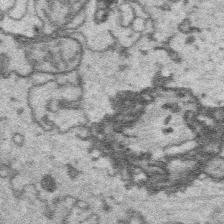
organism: Platynereis dumerilii